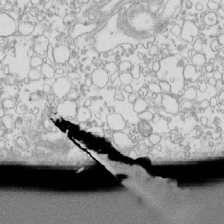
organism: Mouse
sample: Macrophages